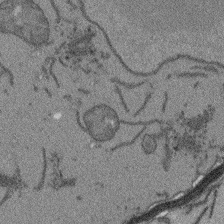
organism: Arabidopsis thaliana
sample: Root tip